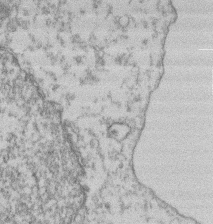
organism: Mouse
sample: T cell stromal cell synapse